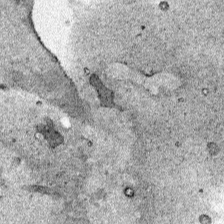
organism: Human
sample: Mitochondria in HCT116 cells